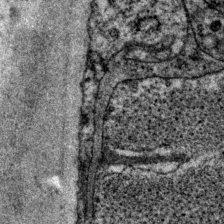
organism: P. pacificus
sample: Pharynx